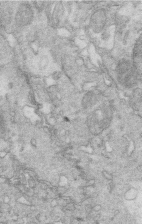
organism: Mouse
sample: Multiciliated cells